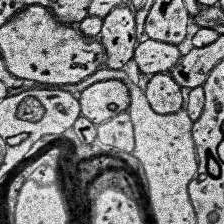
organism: Human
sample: Temporal Lobe